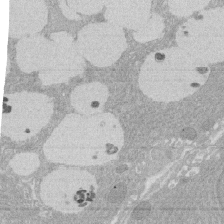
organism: Rat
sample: Salivary granule